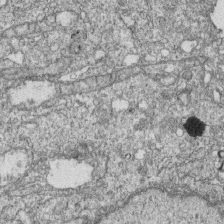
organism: Human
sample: HeLa cell HIV synapse